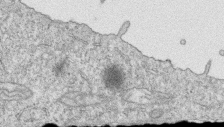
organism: Human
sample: HeLa cell HIV synapse